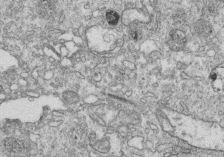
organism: Human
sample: HeLa cell HIV synapse